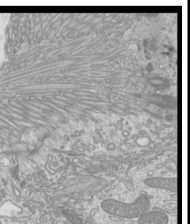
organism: Mouse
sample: Cilia; mouse epididymis